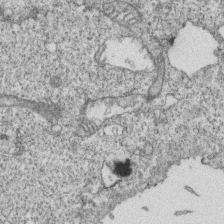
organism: Human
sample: HeLa cell HIV synapse